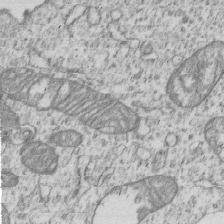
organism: Human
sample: MDA-MB-231 cells